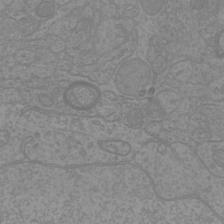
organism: Mouse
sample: Cortical neurons